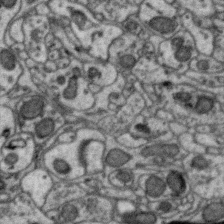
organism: Zebra finch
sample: Brain